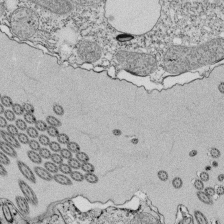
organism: Tetrahymena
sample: Cilia in tetrahymena